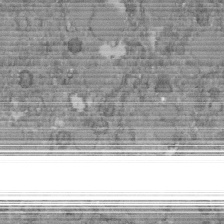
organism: C. elegans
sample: C. elegans embryo early stage